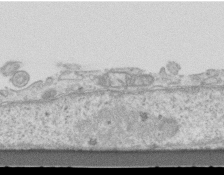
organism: Mouse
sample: Centriole in ependymal cells